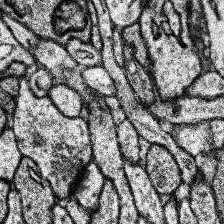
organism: Human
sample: Temporal Lobe